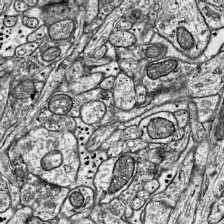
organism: Mouse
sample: Visual Cortex